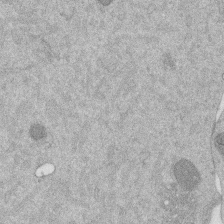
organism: Mouse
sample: Dividing mouse embryo 1 cell stage